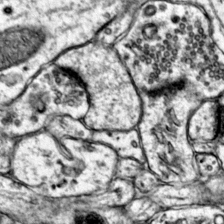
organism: Mouse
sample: Primary visual cortex